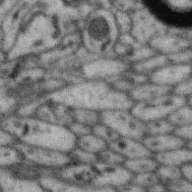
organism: Zebra finch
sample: Brain